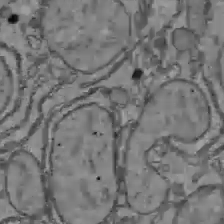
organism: C57BL Mouse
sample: Liver